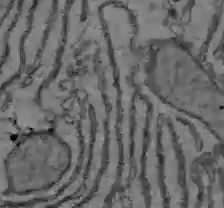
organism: C57BL Mouse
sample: Liver